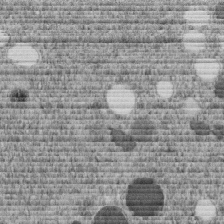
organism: C. elegans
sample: C. elegans embryo early stage